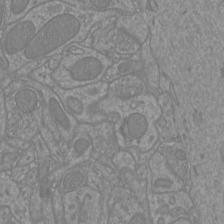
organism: Mouse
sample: Cortical neurons